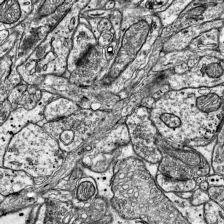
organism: Mouse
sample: Visual Cortex